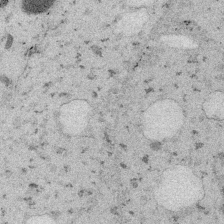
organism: Embia sp.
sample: Silk gland